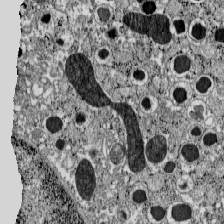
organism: C57BL Mouse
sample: Pancreatic islet